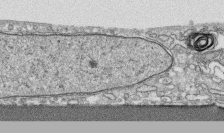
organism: Human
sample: CRL-1474